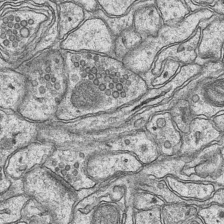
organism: Mouse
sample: CA1 Hippocampus